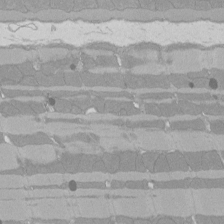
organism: Rat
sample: Left ventricle